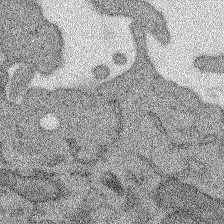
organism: Human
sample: HeLa cells